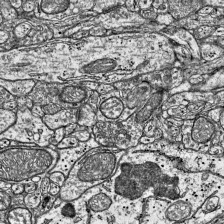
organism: Mouse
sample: Visual Cortex